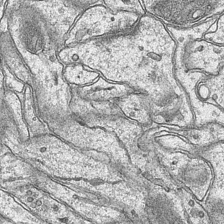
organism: Mouse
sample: CA1 Hippocampus